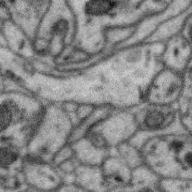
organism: Zebra finch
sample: Brain